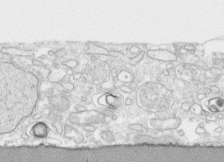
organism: Human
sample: CRL-1474